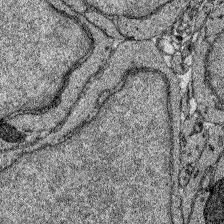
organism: Zebrafish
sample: Larval olfactory bulb